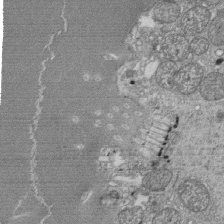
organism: Tetrahymena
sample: Cilia in tetrahymena